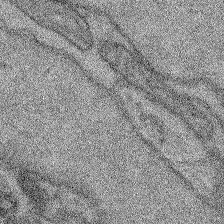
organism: Human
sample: HeLa cells